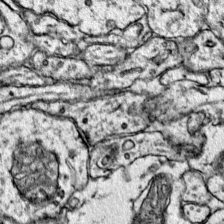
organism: Mouse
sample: Primary visual cortex